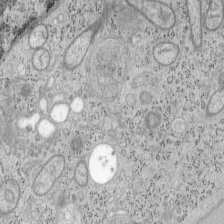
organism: Mouse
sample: OT-I killer T cells with ID8 ovarian cancer cells